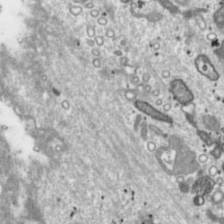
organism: Toxoplasma gondii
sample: Parasites in a vacuole inside a host cell